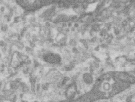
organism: Human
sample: Centriole in RPE cells